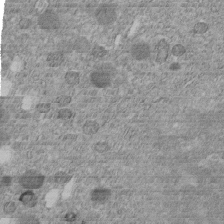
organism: C. elegans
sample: C. elegans embryo early stage